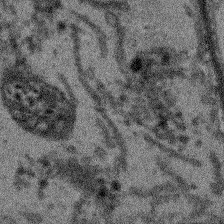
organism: Arabidopsis thaliana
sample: Root tip